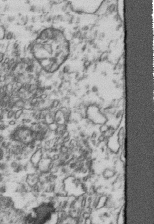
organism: Human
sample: Activated Jurkat CD4+ T cells